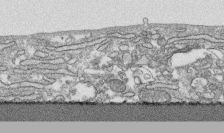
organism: Human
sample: CRL-1474